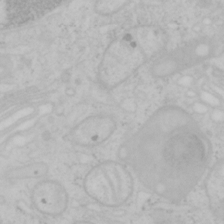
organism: Mouse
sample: OT-I killer T cells with ID8 ovarian cancer cells